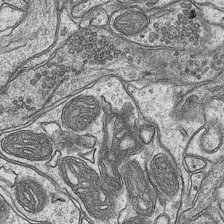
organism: Mouse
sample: CA1 Hippocampus